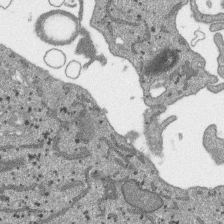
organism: Human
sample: Lung epithelial cells infected with SARS-CoV-2